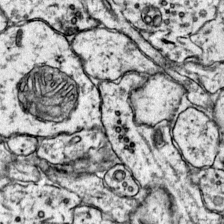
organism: Mouse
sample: Primary visual cortex